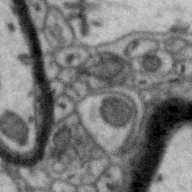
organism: Zebra finch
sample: Brain